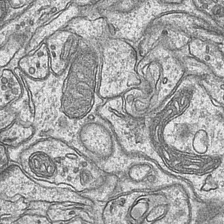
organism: Mouse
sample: CA1 Hippocampus